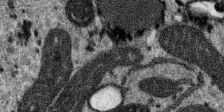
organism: Human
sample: Lung epithelial cells infected with SARS-CoV-2